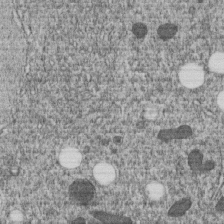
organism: C. elegans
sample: C. elegans embryo early stage